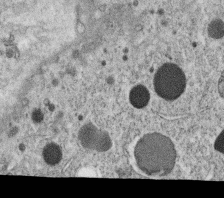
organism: C. elegans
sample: C. elegans oocyte; sperm cells